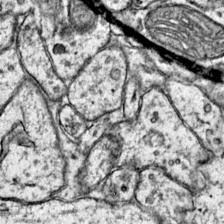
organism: Mouse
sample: Primary visual cortex